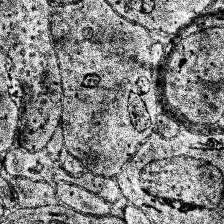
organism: Human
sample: Temporal Lobe